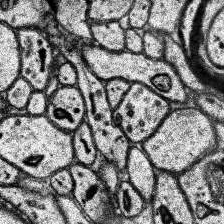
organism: Human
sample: Temporal Lobe